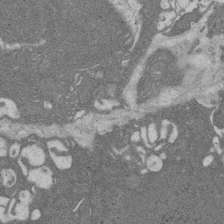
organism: Rat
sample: Salivary granule